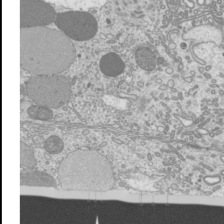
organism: Mouse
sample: Cilia; mouse epididymis